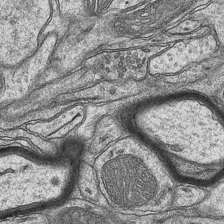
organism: Mouse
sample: CA1 Hippocampus